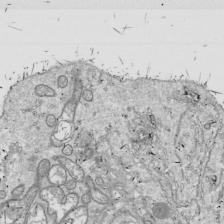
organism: Drosophila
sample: Cell division; meiosis; drosophila spermatocytes